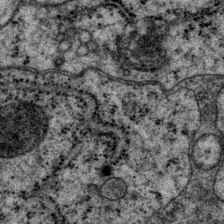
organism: P. pacificus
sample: Pharynx